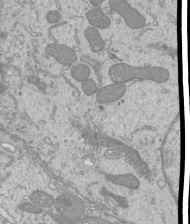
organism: Mouse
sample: Cilia; mouse epididymis